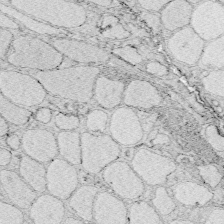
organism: Zebrafish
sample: Whole-Brain